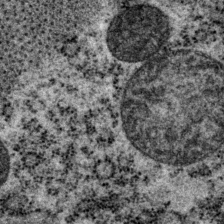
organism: P. pacificus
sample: Pharynx